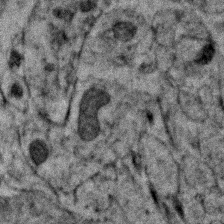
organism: Zebrafish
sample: Zebrafish embryo